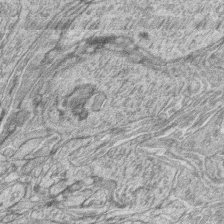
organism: Zebrafish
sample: synaptic ribbons in rod cells and cone cells